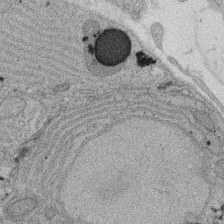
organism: Rat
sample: Salivary granule